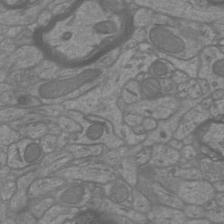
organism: Mouse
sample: Cortical neurons